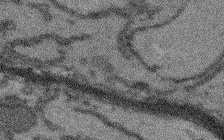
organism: Arabidopsis thaliana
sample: Root tip